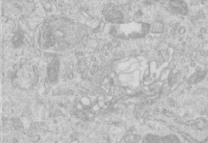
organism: Human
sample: Centriole in RPE cells